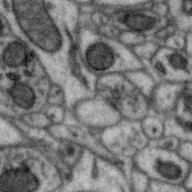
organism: Zebra finch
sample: Brain